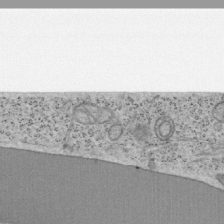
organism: Human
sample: HeLa cells